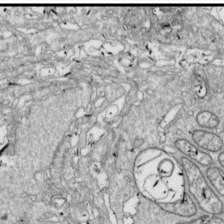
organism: Drosophila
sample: Cell division; meiosis; drosophila spermatocytes